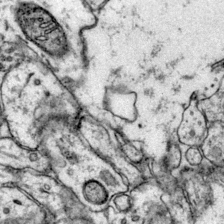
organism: Mouse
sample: Primary visual cortex